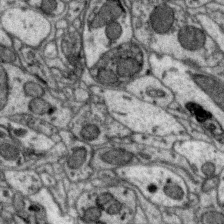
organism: Zebra finch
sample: Brain